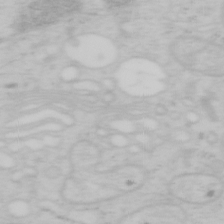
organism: Mouse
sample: OT-I killer T cells with ID8 ovarian cancer cells